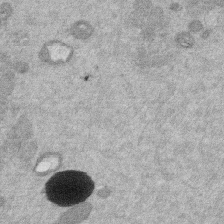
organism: Mouse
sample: Dividing mouse embryo 1 cell stage